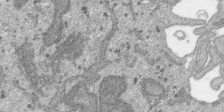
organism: Human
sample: Lung epithelial cells infected with SARS-CoV-2